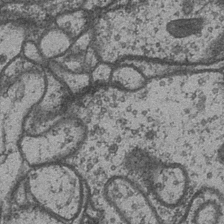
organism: Drosophila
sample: Optic medulla